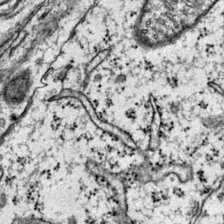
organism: Mouse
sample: Primary visual cortex